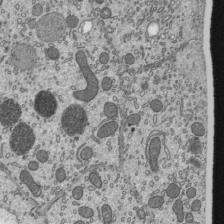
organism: Mouse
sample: Mouse epididymis efferent ductule cilia